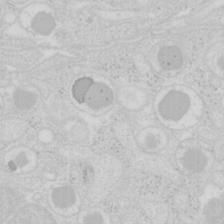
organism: Mouse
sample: Pancreas